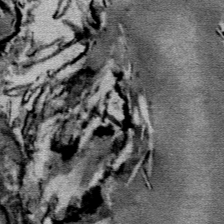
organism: Mouse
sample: Mouse Salivary gland